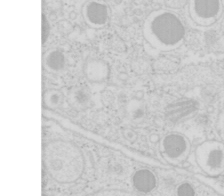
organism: Mouse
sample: Pancreas